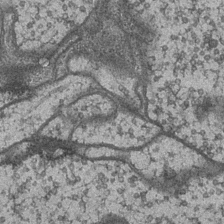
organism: Drosophila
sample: Optic medulla